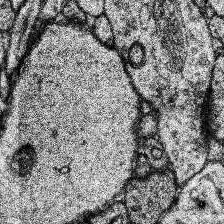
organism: Human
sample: Temporal Lobe